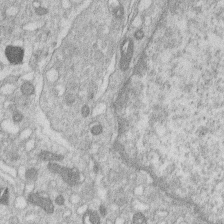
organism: Human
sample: Macrophage cells